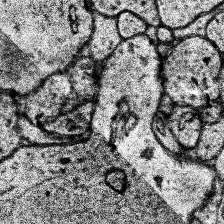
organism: Human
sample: Temporal Lobe